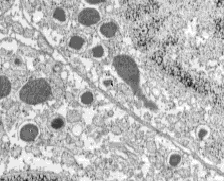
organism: C57BL Mouse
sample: Pancreatic islet